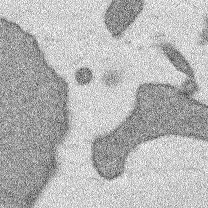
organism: Human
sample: HeLa cells